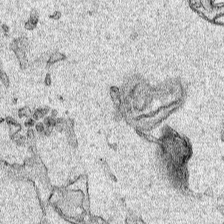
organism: Human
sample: Mitochondria in HCT116 cells